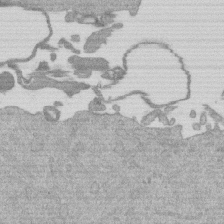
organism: Mouse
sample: Dividing mouse embryo 1 cell stage